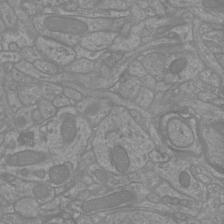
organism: Mouse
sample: Cortical neurons